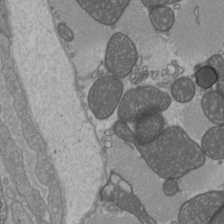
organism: C57BL Mouse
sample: Heart